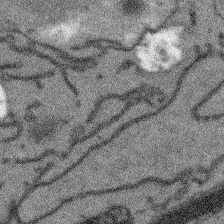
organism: Arabidopsis thaliana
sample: Root tip